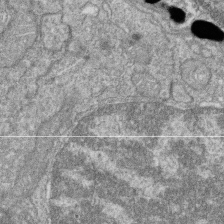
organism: Zebrafish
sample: Cilia; retinal pigment epithelium